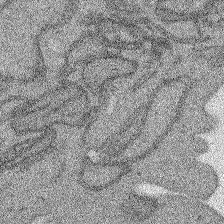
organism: Human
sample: HeLa cells